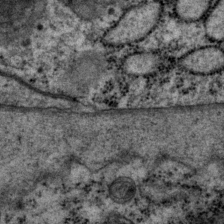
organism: P. pacificus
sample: Pharynx